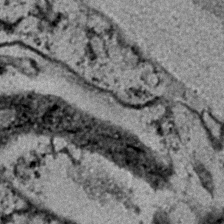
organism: C. elegans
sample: C. elegans embryo